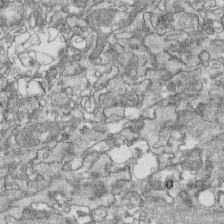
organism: Human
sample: CRL-1474